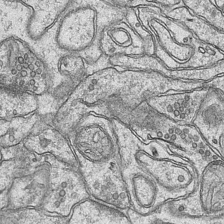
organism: Mouse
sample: CA1 Hippocampus